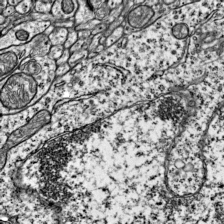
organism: Mouse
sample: Visual Cortex